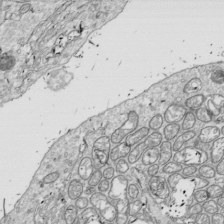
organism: Drosophila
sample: Cell division; meiosis; drosophila spermatocytes